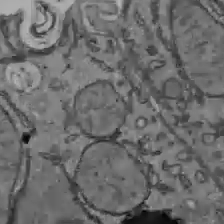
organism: C57BL Mouse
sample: Liver